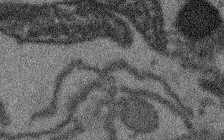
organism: Arabidopsis thaliana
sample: Root tip